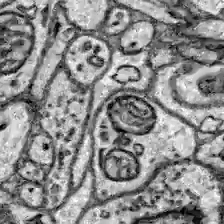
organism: Zebrafish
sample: Brain